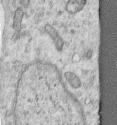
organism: Human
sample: Centriole in RPE cells